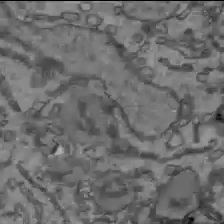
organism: C57BL Mouse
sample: Liver